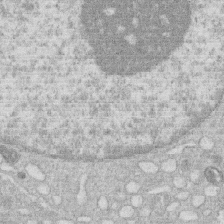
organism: Human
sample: Macrophage cells